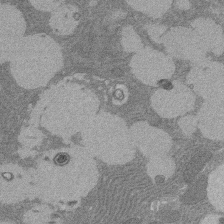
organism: Rat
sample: Salivary granule